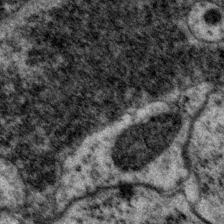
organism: P. pacificus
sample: Pharynx